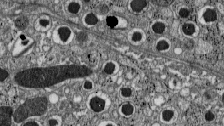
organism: C57BL Mouse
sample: Pancreatic islet